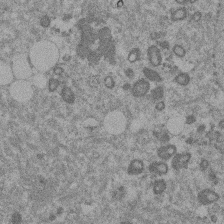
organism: Mouse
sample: Dividing mouse embryo 1 cell stage